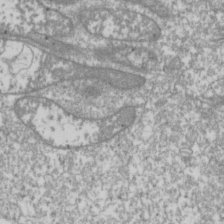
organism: Drosophila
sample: Cell division; meiosis; drosophila spermatocytes